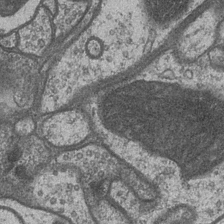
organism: Drosophila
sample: Optic medulla